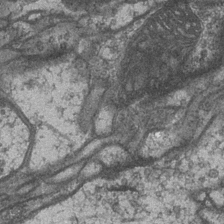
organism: Drosophila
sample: Optic medulla